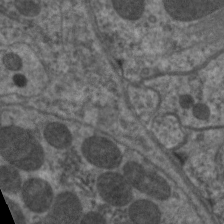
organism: C. elegans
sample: Pharynx